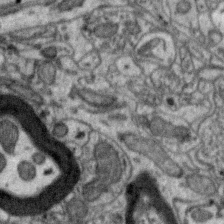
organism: Zebra finch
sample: Brain